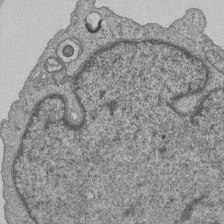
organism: Human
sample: MDA-MB-231 cells